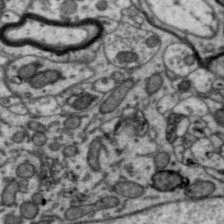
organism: Zebra finch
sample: Brain